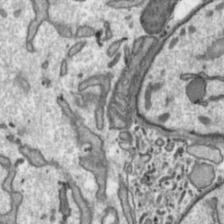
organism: Toxoplasma gondii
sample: Parasites in a vacuole inside a host cell